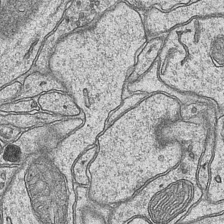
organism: Mouse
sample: CA1 Hippocampus